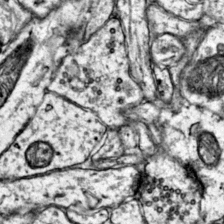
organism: Mouse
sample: Primary visual cortex